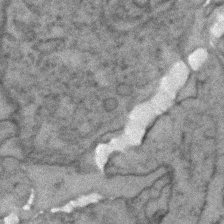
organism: Zebrafish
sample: Zebrafish embryo